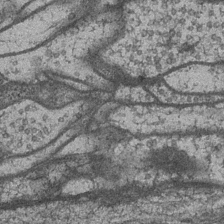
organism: Drosophila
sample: Optic medulla